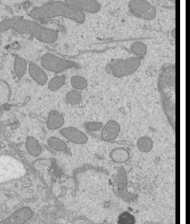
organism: Mouse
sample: Cilia; mouse epididymis